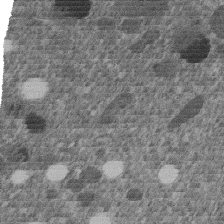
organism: C. elegans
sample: C. elegans embryo early stage